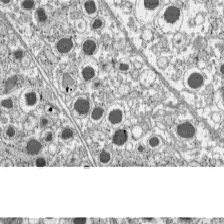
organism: C57BL Mouse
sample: Pancreatic islet